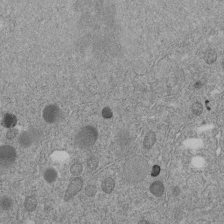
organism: C. elegans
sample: C. elegans embryo early stage